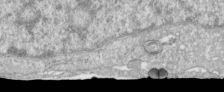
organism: Human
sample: Centriole in RPE cells